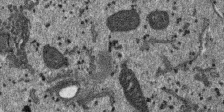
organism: Human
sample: Lung epithelial cells infected with SARS-CoV-2